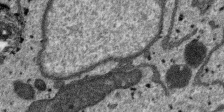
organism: Human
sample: Lung epithelial cells, uninfected (mock) control